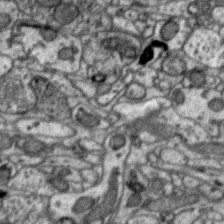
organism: Zebra finch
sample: Brain